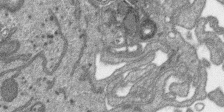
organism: Human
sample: Lung epithelial cells infected with SARS-CoV-2